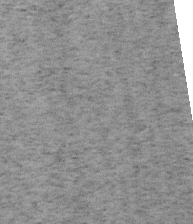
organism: Mouse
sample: OT-I killer T cells with ID8 ovarian cancer cells